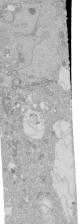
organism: Human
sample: Caco-2 cells